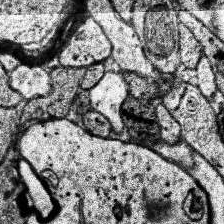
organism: Human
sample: Temporal Lobe